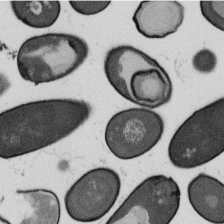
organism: B. subtilis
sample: Bacterial spore